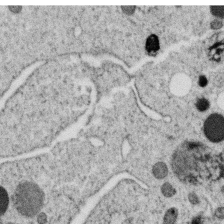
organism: C. elegans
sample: C. elegans oocyte; sperm cells